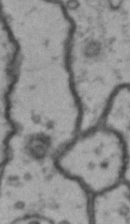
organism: Drosophila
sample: Brain